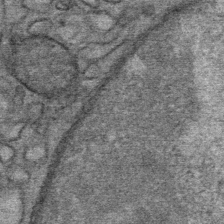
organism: Mouse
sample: Mouse Salivary gland